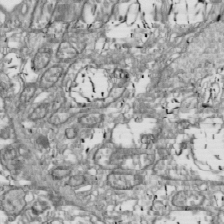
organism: Drosophila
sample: Cell division; meiosis; drosophila spermatocytes